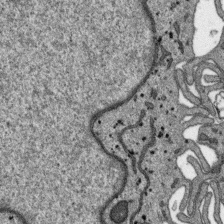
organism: Human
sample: Lung epithelial cells, uninfected (mock) control